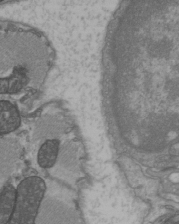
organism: C57BL Mouse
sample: Heart